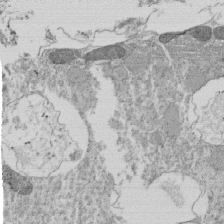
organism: Tetrahymena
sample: Cilia in tetrahymena